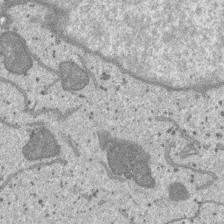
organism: Human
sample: Lung epithelial cells infected with SARS-CoV-2